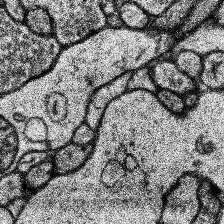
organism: Human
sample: Temporal Lobe